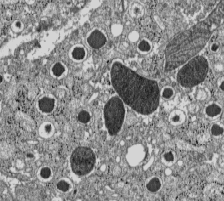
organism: C57BL Mouse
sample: Pancreatic islet